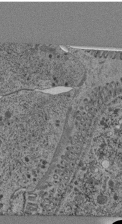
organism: C. elegans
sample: C. elegans pharynx